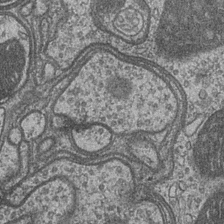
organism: Drosophila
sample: Optic medulla